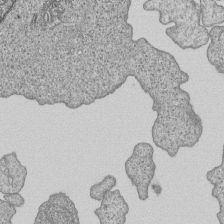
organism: Human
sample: MDA-MB-231 cells